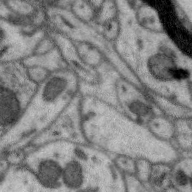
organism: Zebra finch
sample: Brain